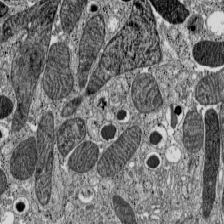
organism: C57BL Mouse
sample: Pancreatic islet